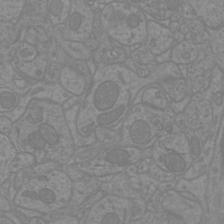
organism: Mouse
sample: Cortical neurons